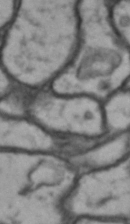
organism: Drosophila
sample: Brain